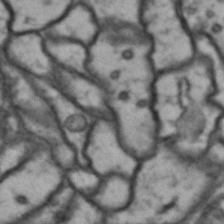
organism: Drosophila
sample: Brain